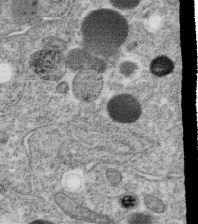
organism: C. elegans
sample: C. elegans oocyte; sperm cells